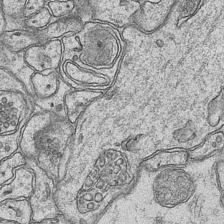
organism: Mouse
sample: CA1 Hippocampus